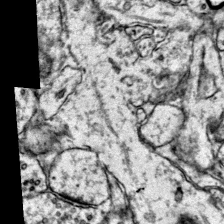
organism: Mouse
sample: Primary visual cortex